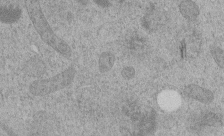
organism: C. elegans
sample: C. elegans embryo early stage